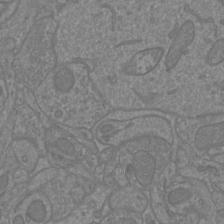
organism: Mouse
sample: Cortical neurons